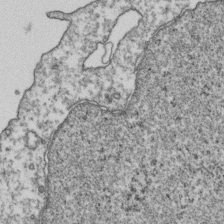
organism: Human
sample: Activated Jurkat CD4+ T cells